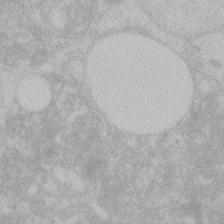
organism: Zebrafish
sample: Macrophage infected with Toxoplasma gondii